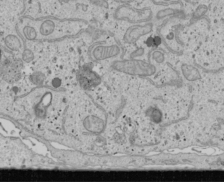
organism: Human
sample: Mitochondria in U2OS cells